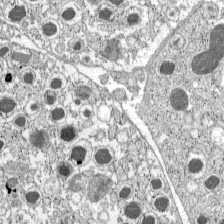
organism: C57BL Mouse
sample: Pancreatic islet